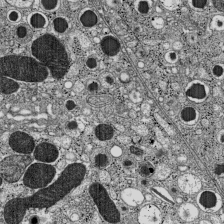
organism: C57BL Mouse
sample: Pancreatic islet